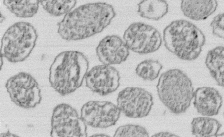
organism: E. coli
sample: Bacterial nucleoid